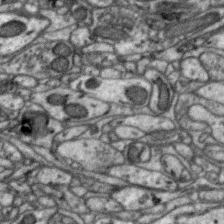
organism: Zebra finch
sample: Brain